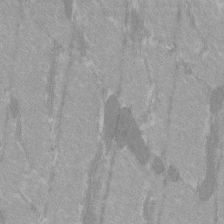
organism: C57BL Mouse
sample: Tibialis anterior muscle cell